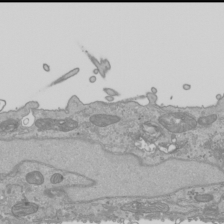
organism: Human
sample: Mitochondria in HCT116 cells